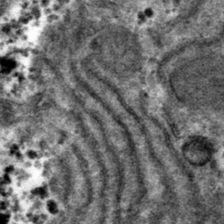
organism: Mouse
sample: Mouse hepatocytes